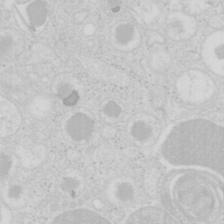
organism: Mouse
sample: Pancreas